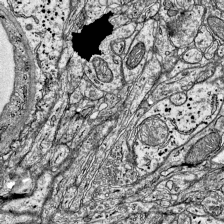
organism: Mouse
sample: Visual Cortex